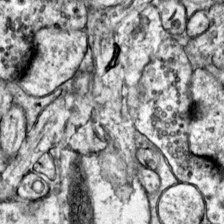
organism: Mouse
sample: Primary visual cortex